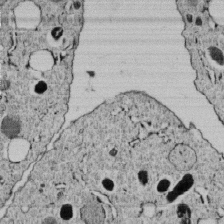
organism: C. elegans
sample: C. elegans embryo early stage